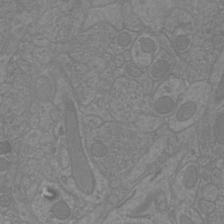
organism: Mouse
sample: Cortical neurons